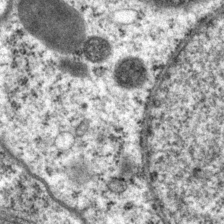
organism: P. pacificus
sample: Pharynx